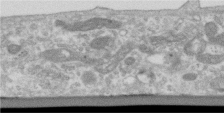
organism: Human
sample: Centriole in RPE cells